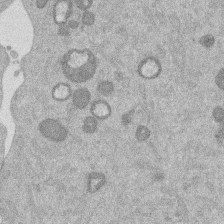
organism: Mouse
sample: Dividing mouse embryo 1 cell stage